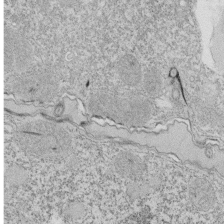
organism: Tetrahymena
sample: Cilia in tetrahymena